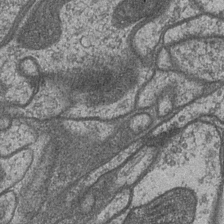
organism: Drosophila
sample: Optic medulla